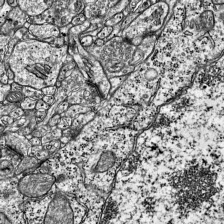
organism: Mouse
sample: Visual Cortex